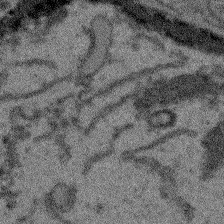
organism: Arabidopsis thaliana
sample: Root tip